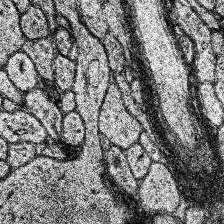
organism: Human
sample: Temporal Lobe